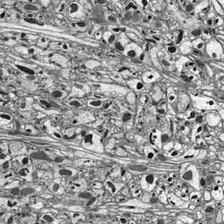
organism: Drosophila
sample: Optic lobe